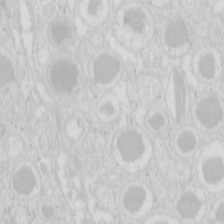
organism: Mouse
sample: Pancreas